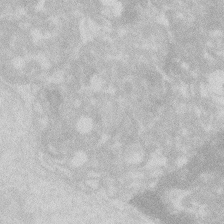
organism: Zebrafish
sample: Macrophage